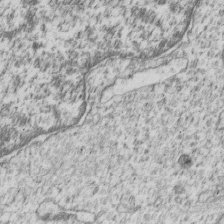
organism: Human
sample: MDA-MB-231 cells